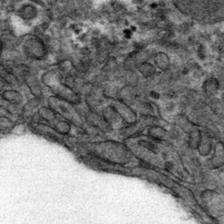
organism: Mouse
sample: Mouse hepatocytes